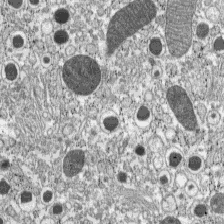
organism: C57BL Mouse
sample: Pancreatic islet